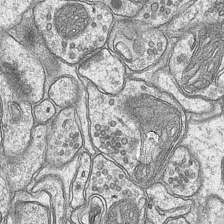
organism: Mouse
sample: CA1 Hippocampus